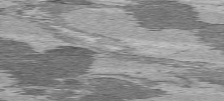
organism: C57BL Mouse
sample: Heart